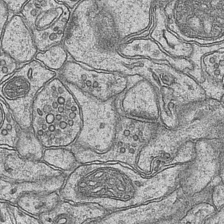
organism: Mouse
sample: CA1 Hippocampus